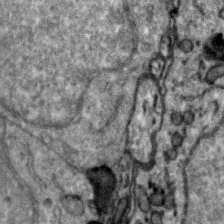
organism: Zebra finch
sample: Brain